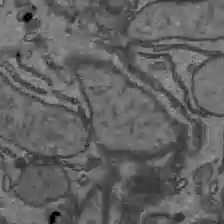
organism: C57BL Mouse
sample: Liver